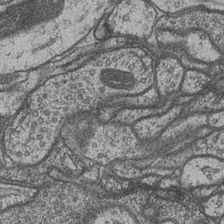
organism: Drosophila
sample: Optic medulla